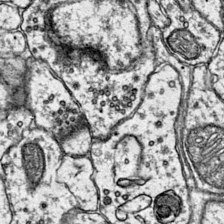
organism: Mouse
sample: Primary visual cortex